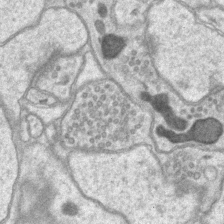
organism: Mouse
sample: CA1 Hippocampus